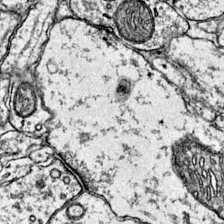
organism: Mouse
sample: Primary visual cortex